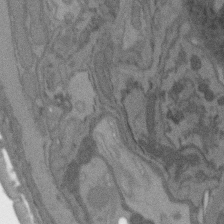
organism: C. elegans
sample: AFD neurons C. elegans